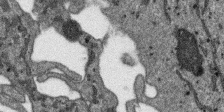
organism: Human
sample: Lung epithelial cells infected with SARS-CoV-2